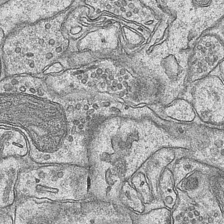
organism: Mouse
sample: CA1 Hippocampus